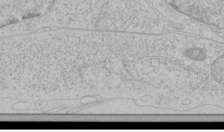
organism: Human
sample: Mitochondria in HCT116 cells